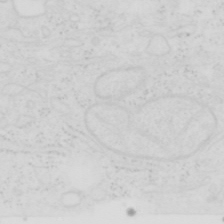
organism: Human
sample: SUM-159 cell